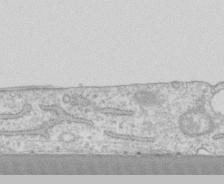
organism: Human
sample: CRL-1474